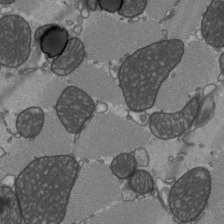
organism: C57BL Mouse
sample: Heart